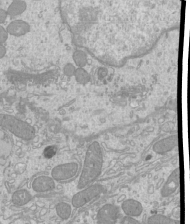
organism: Mouse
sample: Cilia; mouse epididymis